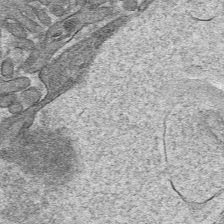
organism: Mouse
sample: Mouse hepatocytes